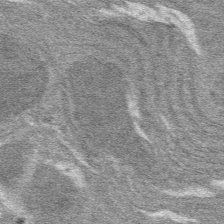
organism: Mouse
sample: Mouse hepatocytes